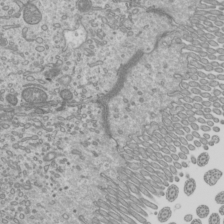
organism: Mouse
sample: Cilia; mouse epididymis